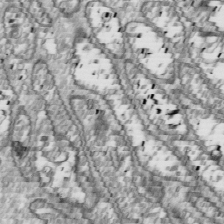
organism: Drosophila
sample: Cell division; meiosis; drosophila spermatocytes